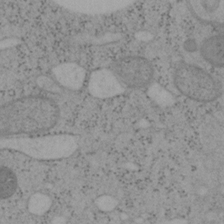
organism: Mouse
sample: OT-I killer T cells with ID8 ovarian cancer cells